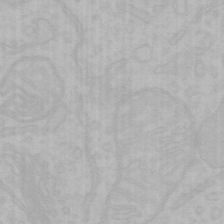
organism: Mouse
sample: Choroid plexus